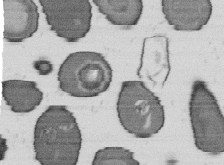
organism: B. subtilis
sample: Bacterial spore